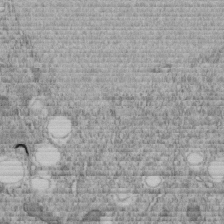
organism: C. elegans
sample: C. elegans embryo early stage